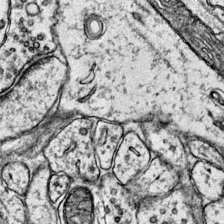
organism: Mouse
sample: Primary visual cortex